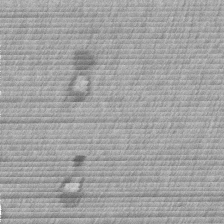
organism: Mouse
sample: Dividing mouse embryo 1 cell stage